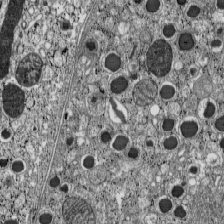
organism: C57BL Mouse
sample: Pancreatic islet